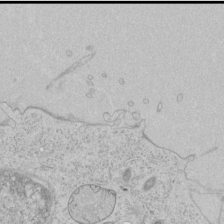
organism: Human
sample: Mitochondria in HCT116 cells